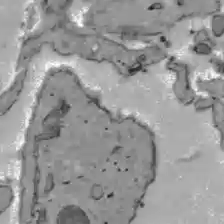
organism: C57BL Mouse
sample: Liver